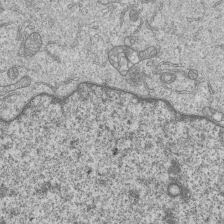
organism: Human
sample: MDA-MB-231 cells